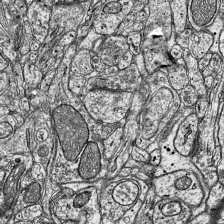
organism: Mouse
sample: Visual Cortex